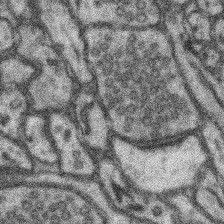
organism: Mouse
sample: Somatosensory cortex neuropil